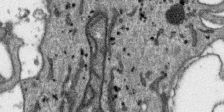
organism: Human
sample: Lung epithelial cells, uninfected (mock) control